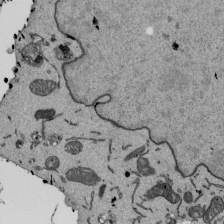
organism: Mouse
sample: ED-1 cell nuclei; centrioles